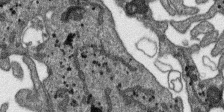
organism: Human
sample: Lung epithelial cells infected with SARS-CoV-2